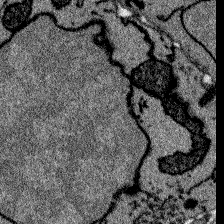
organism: Zebrafish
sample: Larval olfactory bulb